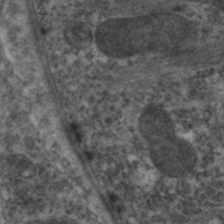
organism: C. elegans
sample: Pharynx